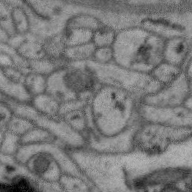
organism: Zebra finch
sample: Brain